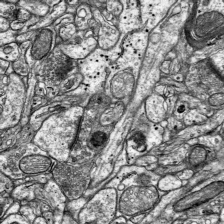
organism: Mouse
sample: Visual Cortex